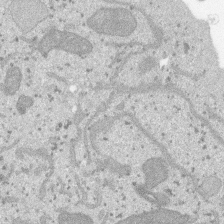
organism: Human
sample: Lung epithelial cells infected with SARS-CoV-2